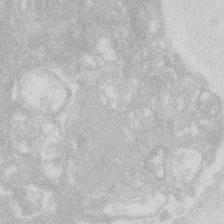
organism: Zebrafish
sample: Macrophage